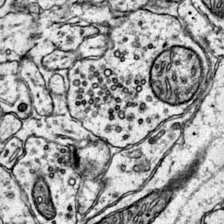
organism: Mouse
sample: Primary visual cortex